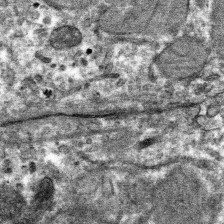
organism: Mouse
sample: Mouse hepatocytes